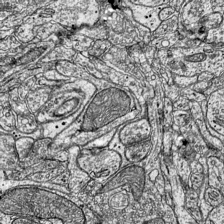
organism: Mouse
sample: Visual Cortex